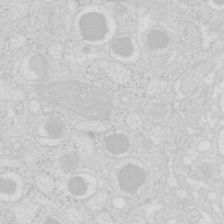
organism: Mouse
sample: Pancreas